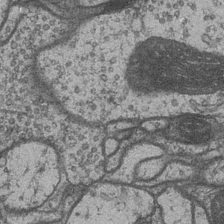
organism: Drosophila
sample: Optic medulla